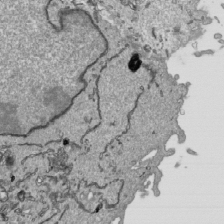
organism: Human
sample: Mitochondria in HCT116 cells